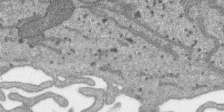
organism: Human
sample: Lung epithelial cells infected with SARS-CoV-2